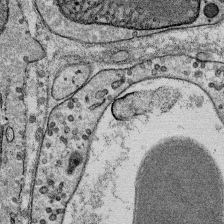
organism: Mouse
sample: Mouse Salivary gland